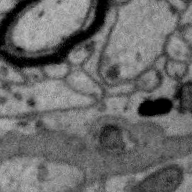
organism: Zebra finch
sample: Brain